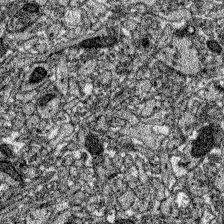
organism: Zebrafish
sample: Larval olfactory bulb